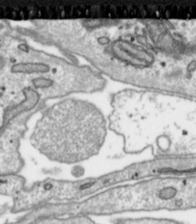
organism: Toxoplasma gondii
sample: Parasites in a vacuole inside a host cell